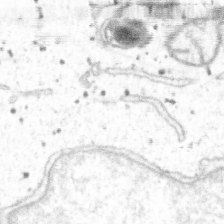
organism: Human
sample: HeLa cells